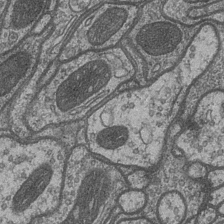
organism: Drosophila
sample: Optic medulla